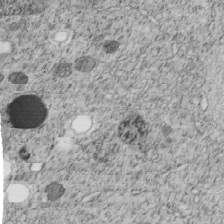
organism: C. elegans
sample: C. elegans embryo early stage